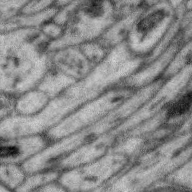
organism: Zebra finch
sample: Brain